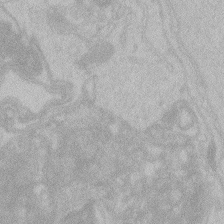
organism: Zebrafish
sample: Macrophage infected with Toxoplasma gondii